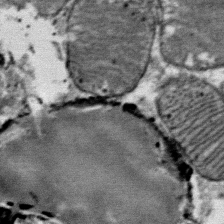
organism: Mouse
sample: Mouse Salivary gland